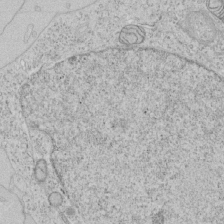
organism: Human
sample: Mitochondria in HCT116 cells